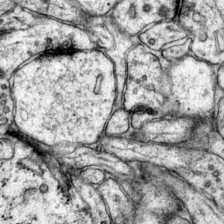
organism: Mouse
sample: Primary visual cortex